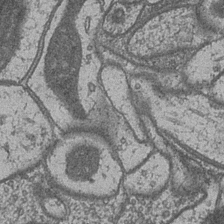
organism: Drosophila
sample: Optic medulla